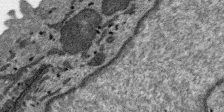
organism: Human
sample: Lung epithelial cells, uninfected (mock) control